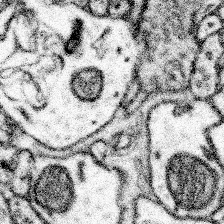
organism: Mouse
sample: Somatosensory cortex neuropil